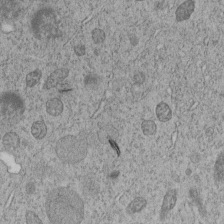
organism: C. elegans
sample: C. elegans embryo early stage